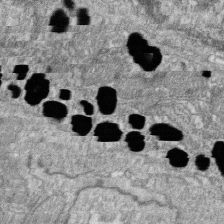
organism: Zebrafish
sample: Cilia; retinal pigment epithelium